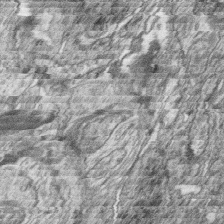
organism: Zebrafish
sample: synaptic ribbons in rod cells and cone cells